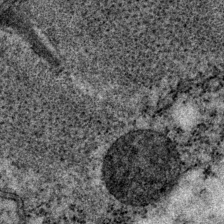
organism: P. pacificus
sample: Pharynx